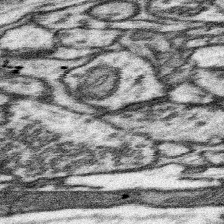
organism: Mouse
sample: Somatosensory cortex neuropil